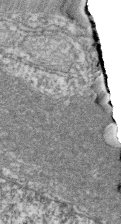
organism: Zebrafish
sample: Cilia; retinal pigment epithelium